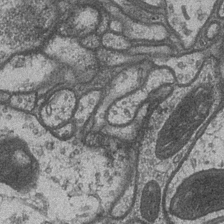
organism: Drosophila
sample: Optic medulla